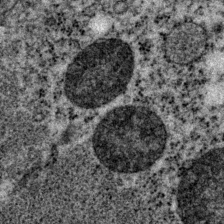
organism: P. pacificus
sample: Pharynx